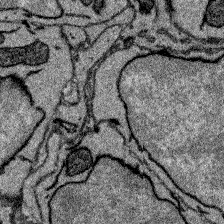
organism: Zebrafish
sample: Larval olfactory bulb